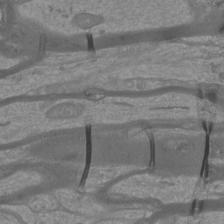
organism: Mouse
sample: Cortical neurons